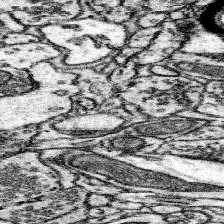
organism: Mouse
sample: Somatosensory cortex neuropil